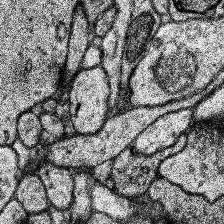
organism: Human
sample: Temporal Lobe